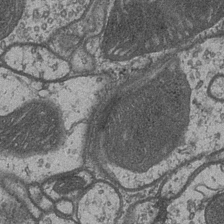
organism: Drosophila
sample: Optic medulla